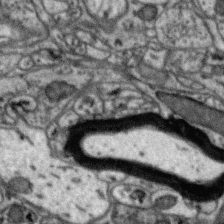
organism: Zebra finch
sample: Brain